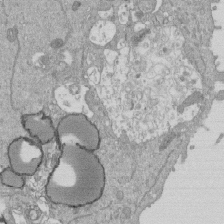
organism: Mouse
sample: ED-1 cell nuclei; centrioles